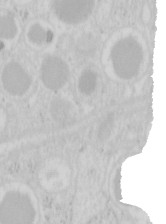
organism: Mouse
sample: Pancreas